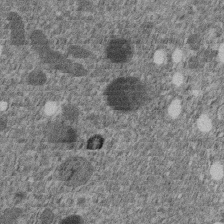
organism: C. elegans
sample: C. elegans embryo early stage